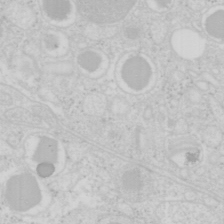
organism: Mouse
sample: Pancreas